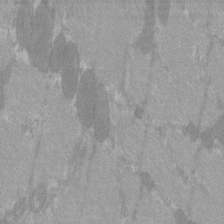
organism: C57BL Mouse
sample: Tibialis anterior muscle cell